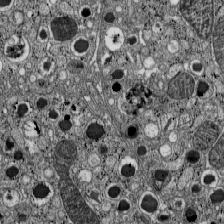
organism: C57BL Mouse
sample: Pancreatic islet